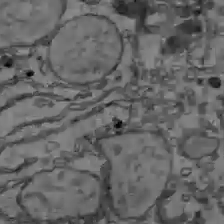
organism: C57BL Mouse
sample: Liver